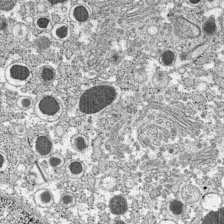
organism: C57BL Mouse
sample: Pancreatic islet